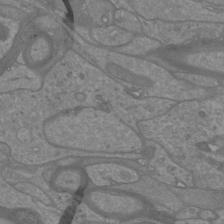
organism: Mouse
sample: Cortical neurons